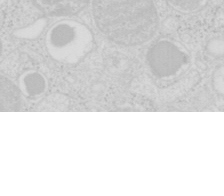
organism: Mouse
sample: Pancreas